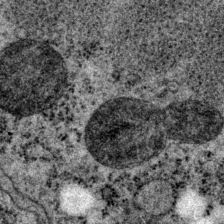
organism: P. pacificus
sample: Pharynx